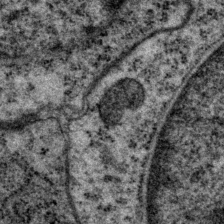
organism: P. pacificus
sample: Pharynx